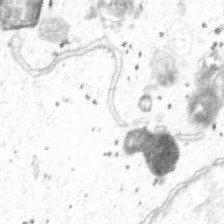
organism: Human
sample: HeLa cells